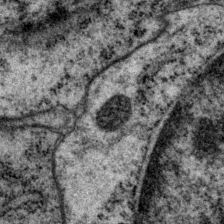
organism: P. pacificus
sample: Pharynx